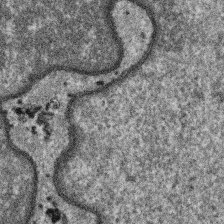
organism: Human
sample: Lung epithelial cells infected with SARS-CoV-2